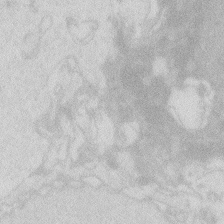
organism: Zebrafish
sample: Macrophage